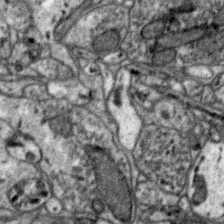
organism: Zebra finch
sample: Brain